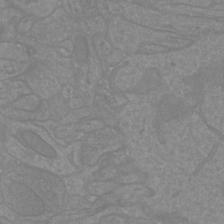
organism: Mouse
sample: Cortical neurons